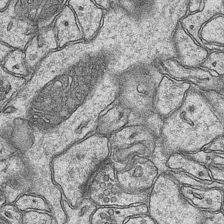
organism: Mouse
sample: CA1 Hippocampus